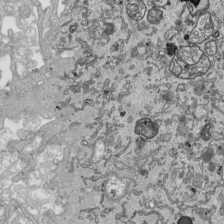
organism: Human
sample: Mitochondria in HCT116 cells